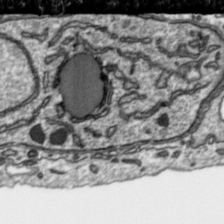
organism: Toxoplasma gondii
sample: Parasites in a vacuole inside a host cell